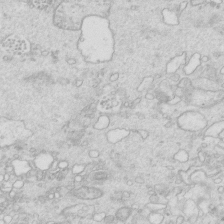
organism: Mouse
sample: Multiciliated cells